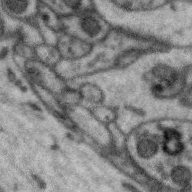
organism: Zebra finch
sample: Brain